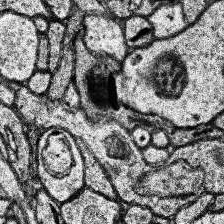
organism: Human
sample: Temporal Lobe